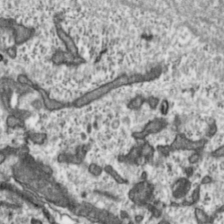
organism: Toxoplasma gondii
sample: Parasites in a vacuole inside a host cell